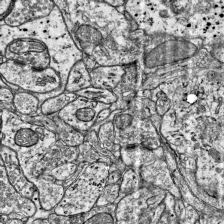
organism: Mouse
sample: Visual Cortex